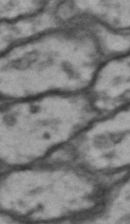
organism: Drosophila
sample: Brain